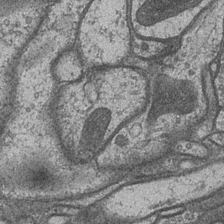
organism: Drosophila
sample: Optic medulla